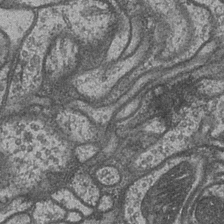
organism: Drosophila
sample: Optic medulla